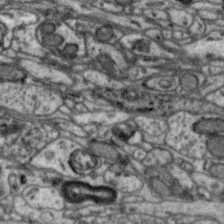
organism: Zebra finch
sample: Brain